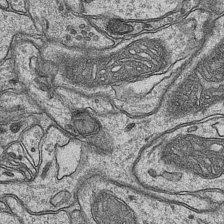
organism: Mouse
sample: CA1 Hippocampus